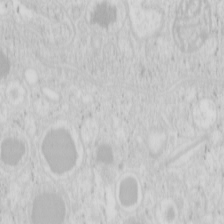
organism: Mouse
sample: Pancreas